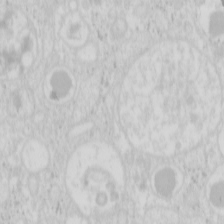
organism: Mouse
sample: Pancreas